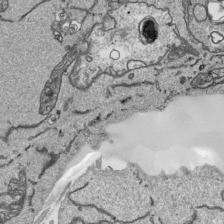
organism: Human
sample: Mitochondria in HCT116 cells